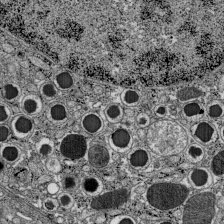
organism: C57BL Mouse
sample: Pancreatic islet